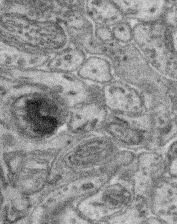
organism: Mouse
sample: Retina